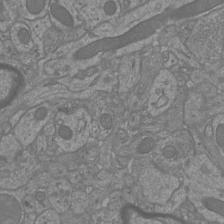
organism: Mouse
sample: Cortical neurons